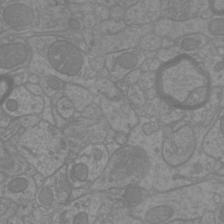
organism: Mouse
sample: Cortical neurons